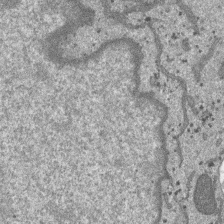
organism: Human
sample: Lung epithelial cells infected with SARS-CoV-2